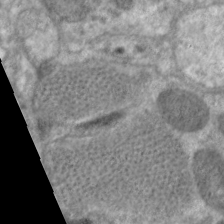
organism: C. elegans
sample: Pharynx